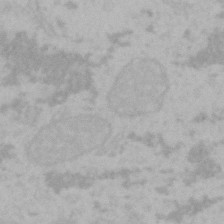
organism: Mouse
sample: Choroid plexus